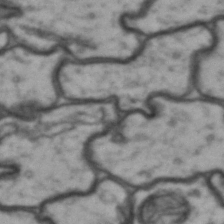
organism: Drosophila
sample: Brain